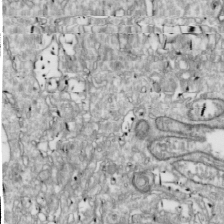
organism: Drosophila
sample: Cell division; meiosis; drosophila spermatocytes